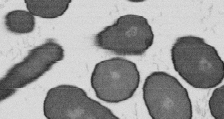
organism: B. subtilis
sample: Bacterial spore